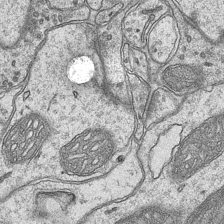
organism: Mouse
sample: CA1 Hippocampus